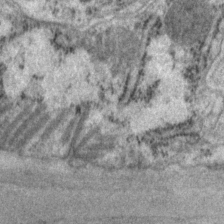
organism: P. pacificus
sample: Pharynx